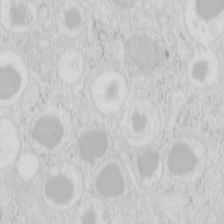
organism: Mouse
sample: Pancreas